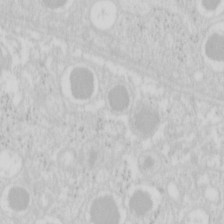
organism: Mouse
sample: Pancreas